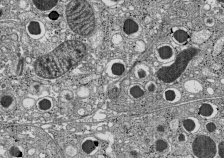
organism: C57BL Mouse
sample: Pancreatic islet